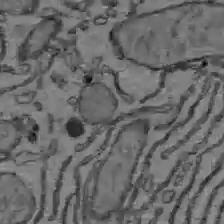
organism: C57BL Mouse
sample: Liver